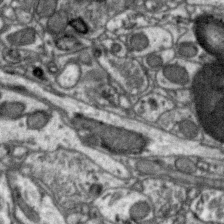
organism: Zebra finch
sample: Brain